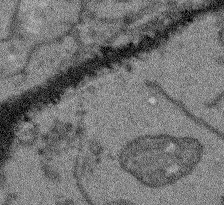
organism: Arabidopsis thaliana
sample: Root tip